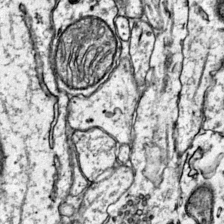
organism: Mouse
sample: Primary visual cortex